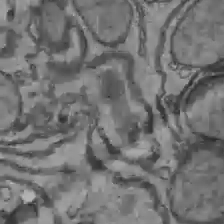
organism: C57BL Mouse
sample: Liver